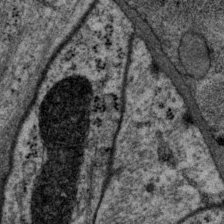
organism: P. pacificus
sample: Pharynx